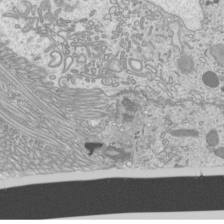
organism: Mouse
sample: Cilia; mouse epididymis